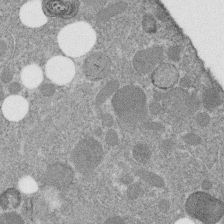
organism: C. elegans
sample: C. elegans embryo early stage